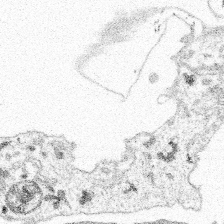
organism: Spongilla lacustris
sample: Multiple